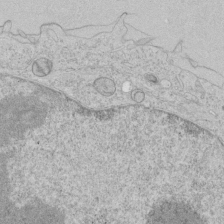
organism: Human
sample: Mitochondria in HCT116 cells